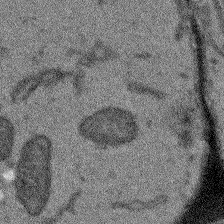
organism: Arabidopsis thaliana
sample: Root tip